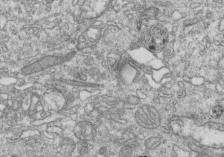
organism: Human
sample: HeLa cell HIV synapse